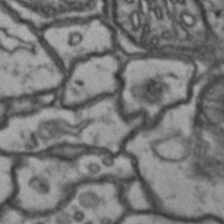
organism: Drosophila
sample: Brain